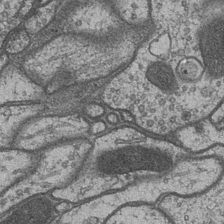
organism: Drosophila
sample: Optic medulla